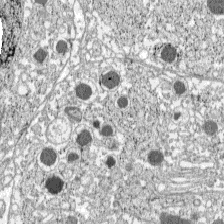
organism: C57BL Mouse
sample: Pancreatic islet